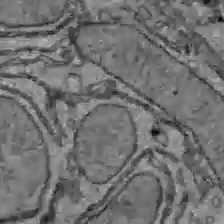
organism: C57BL Mouse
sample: Liver